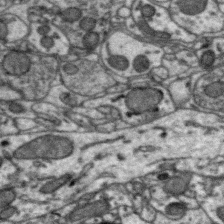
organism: Zebra finch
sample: Brain